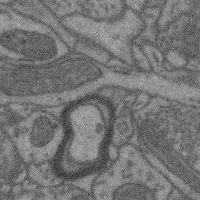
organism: Mouse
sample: Cerebral cortex